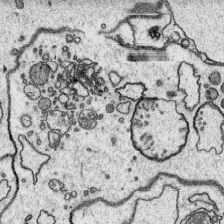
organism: Platynereis dumerilii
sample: Parapodia